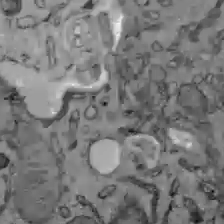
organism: C57BL Mouse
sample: Liver